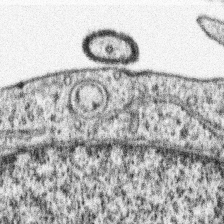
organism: Human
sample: HeLa cells